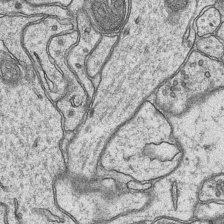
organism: Mouse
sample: CA1 Hippocampus